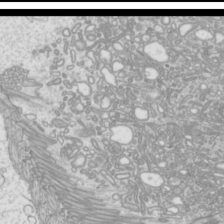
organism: Mouse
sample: Cilia; mouse epididymis